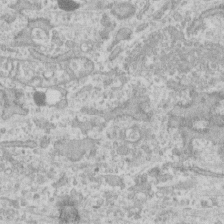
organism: Human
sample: CRL-1474